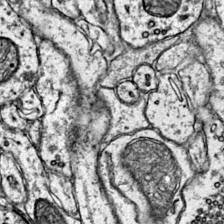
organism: Mouse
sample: Primary visual cortex